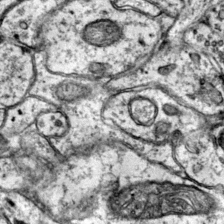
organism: Mouse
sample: Primary visual cortex